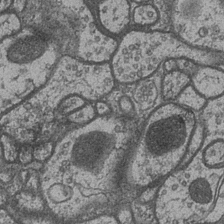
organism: Drosophila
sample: Optic medulla